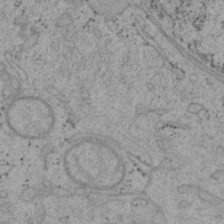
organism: Human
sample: HeLa cells